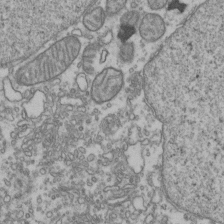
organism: Human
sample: Activated Jurkat CD4+ T cells